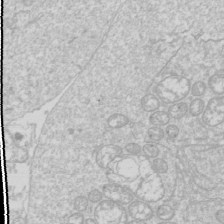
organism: Drosophila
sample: Cell division; meiosis; drosophila spermatocytes